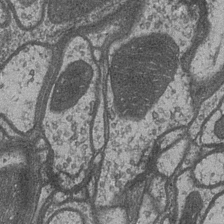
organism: Drosophila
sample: Optic medulla